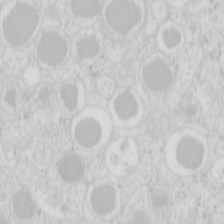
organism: Mouse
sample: Pancreas